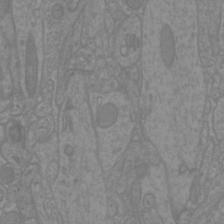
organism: Mouse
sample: Cortical neurons